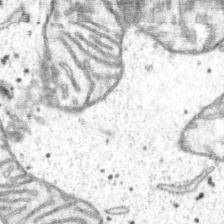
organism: Human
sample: HeLa cells